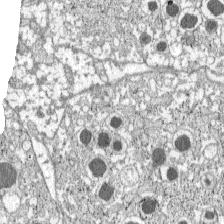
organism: C57BL Mouse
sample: Pancreatic islet